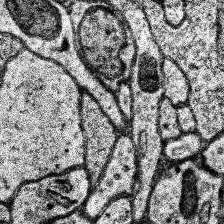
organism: Human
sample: Temporal Lobe